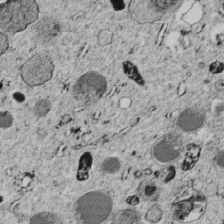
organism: C. elegans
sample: C. elegans embryo early stage